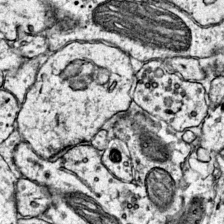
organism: Mouse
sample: Primary visual cortex